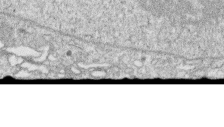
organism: Human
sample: HeLa cell HIV synapse